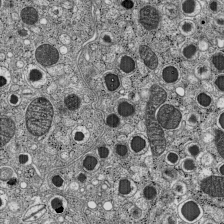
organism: C57BL Mouse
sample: Pancreatic islet